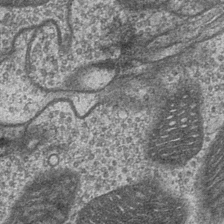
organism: Drosophila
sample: Optic medulla